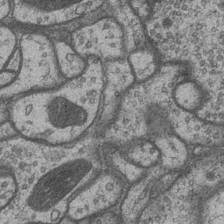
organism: Drosophila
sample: Optic medulla